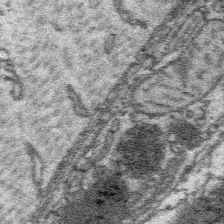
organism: Platynereis dumerilii